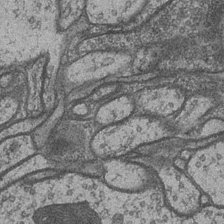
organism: Drosophila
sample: Optic medulla